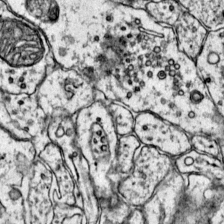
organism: Mouse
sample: Primary visual cortex